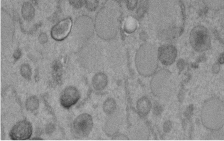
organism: C. elegans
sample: C. elegans embryo early stage